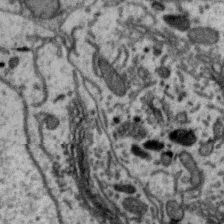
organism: Zebra finch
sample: Brain